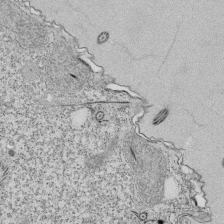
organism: Tetrahymena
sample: Cilia in tetrahymena